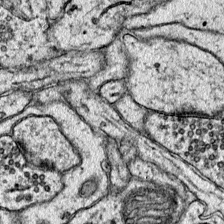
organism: Mouse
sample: Primary visual cortex